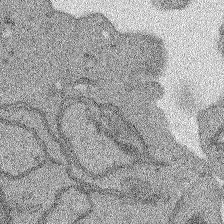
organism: Human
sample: HeLa cells